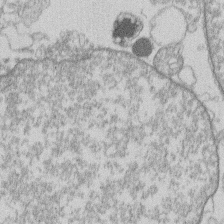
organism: Human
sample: Macrophage cells